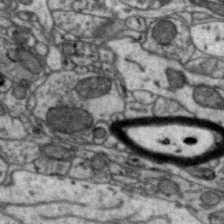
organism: Zebra finch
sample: Brain